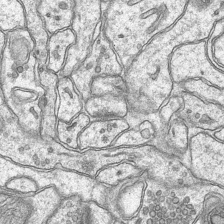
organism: Mouse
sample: CA1 Hippocampus